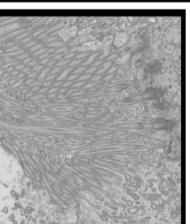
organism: Mouse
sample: Cilia; mouse epididymis